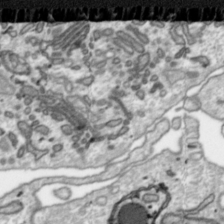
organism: Toxoplasma gondii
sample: Parasites in a vacuole inside a host cell